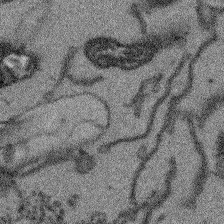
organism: Arabidopsis thaliana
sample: Root tip